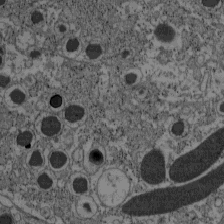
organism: C57BL Mouse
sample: Pancreatic islet